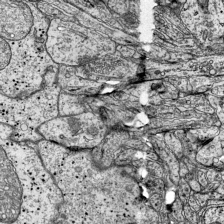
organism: Mouse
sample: Visual Cortex